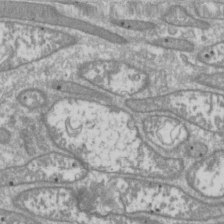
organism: Drosophila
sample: Cell division; meiosis; drosophila spermatocytes